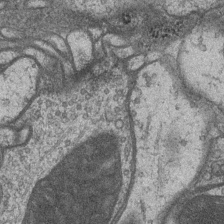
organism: Drosophila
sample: Optic medulla